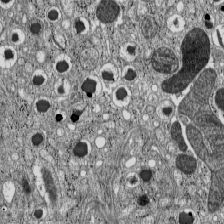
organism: C57BL Mouse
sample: Pancreatic islet